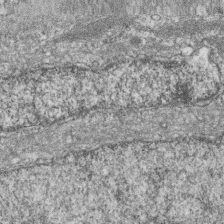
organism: Zebrafish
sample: Cilia; retinal pigment epithelium